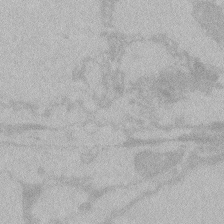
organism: Zebrafish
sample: Macrophage infected with Toxoplasma gondii